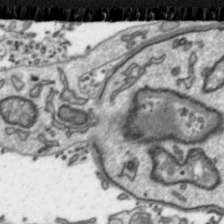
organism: Toxoplasma gondii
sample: Parasites in a vacuole inside a host cell